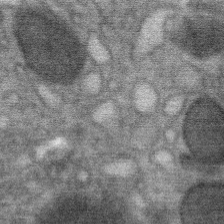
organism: Mouse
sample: Mouse Salivary gland